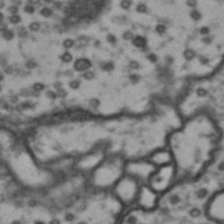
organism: Drosophila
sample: Brain